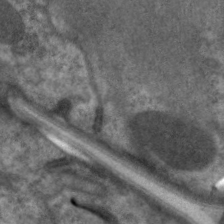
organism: C. elegans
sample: Pharynx